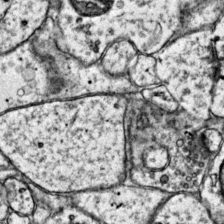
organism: Mouse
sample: Primary visual cortex